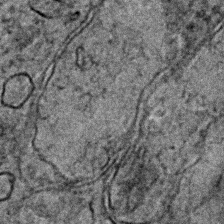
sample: Trachea